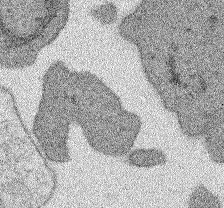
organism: Human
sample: HeLa cells